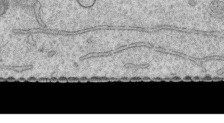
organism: Human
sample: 1205lu cells